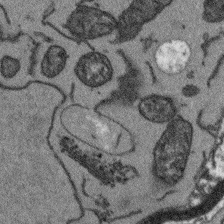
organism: Arabidopsis thaliana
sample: Root tip